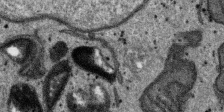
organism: Human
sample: Lung epithelial cells, uninfected (mock) control